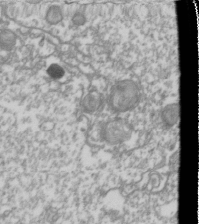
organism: Drosophila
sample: Cell division; meiosis; drosophila spermatocytes